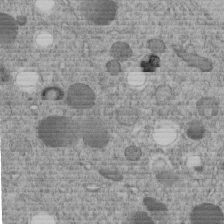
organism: C. elegans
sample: C. elegans embryo early stage